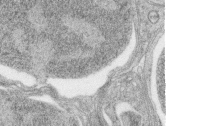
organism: Zebrafish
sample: synaptic ribbons in rod cells and cone cells